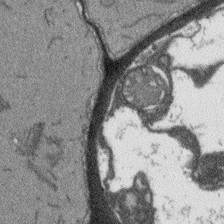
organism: Arabidopsis thaliana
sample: Root tip